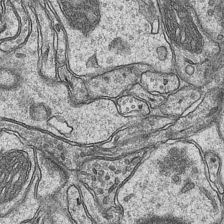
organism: Mouse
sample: CA1 Hippocampus